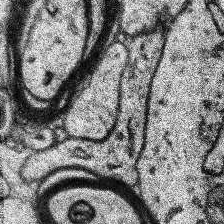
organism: Human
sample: Temporal Lobe